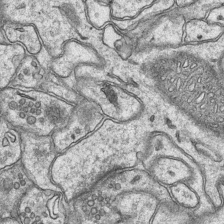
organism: Mouse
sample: CA1 Hippocampus